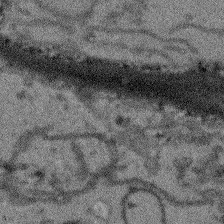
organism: Arabidopsis thaliana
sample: Root tip